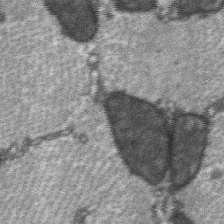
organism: C57BL Mouse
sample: Soleus